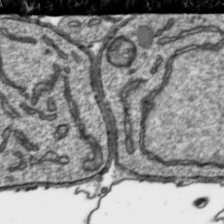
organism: Toxoplasma gondii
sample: Parasites in a vacuole inside a host cell